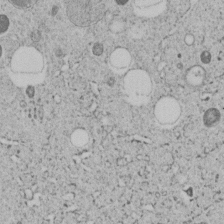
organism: C. elegans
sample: C. elegans embryo early stage